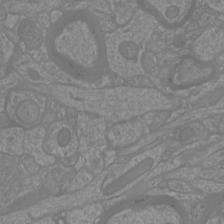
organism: Mouse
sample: Cortical neurons